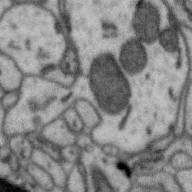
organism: Zebra finch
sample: Brain